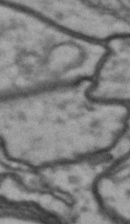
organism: Drosophila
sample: Brain